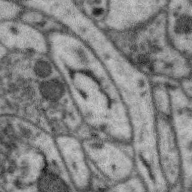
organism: Zebra finch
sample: Brain